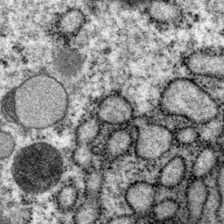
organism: P. pacificus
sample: Pharynx